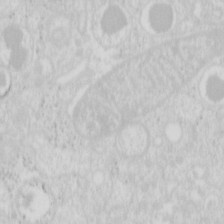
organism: Mouse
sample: Pancreas